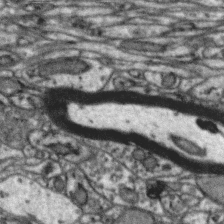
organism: Zebra finch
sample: Brain